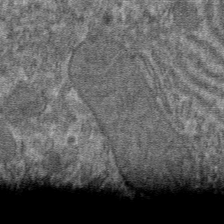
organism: Mouse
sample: Mouse hepatocytes